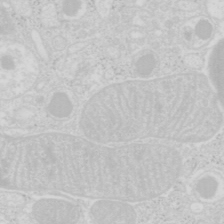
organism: Mouse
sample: Pancreas